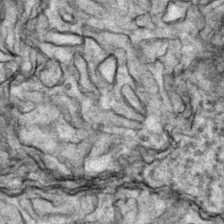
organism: Zebrafish